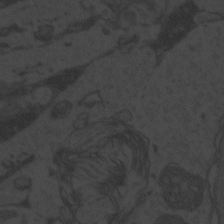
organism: Zebrafish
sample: Macrophage infected with Toxoplasma gondii